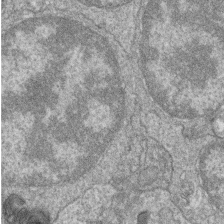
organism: Zebrafish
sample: Cilia; retinal pigment epithelium